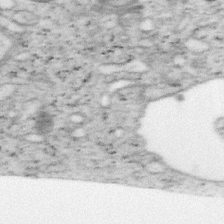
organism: Mouse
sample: OT-I killer T cells with ID8 ovarian cancer cells